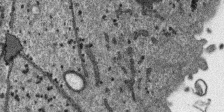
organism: Human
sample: Lung epithelial cells infected with SARS-CoV-2